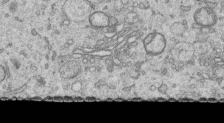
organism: Human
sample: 1205lu cells